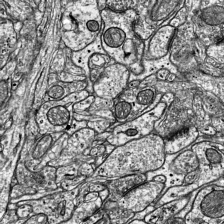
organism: Mouse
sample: Visual Cortex